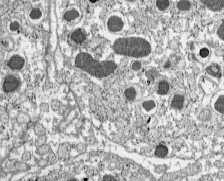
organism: C57BL Mouse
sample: Pancreatic islet